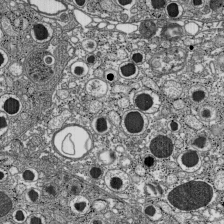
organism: C57BL Mouse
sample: Pancreatic islet